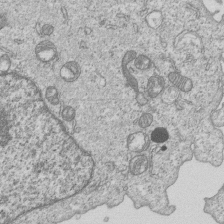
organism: Human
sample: MDA-MB-231 cells